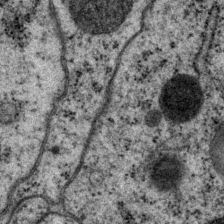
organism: P. pacificus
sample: Pharynx